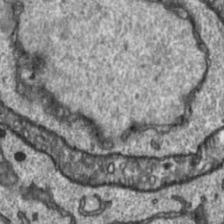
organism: Toxoplasma gondii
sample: Parasites in a vacuole inside a host cell